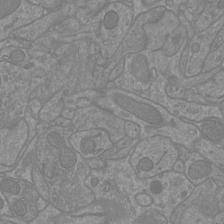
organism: Mouse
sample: Cortical neurons